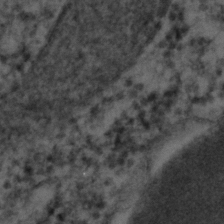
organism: C. elegans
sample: C. elegans embryo